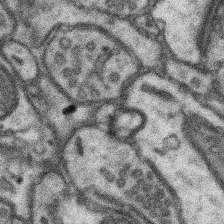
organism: Mouse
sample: Somatosensory cortex neuropil